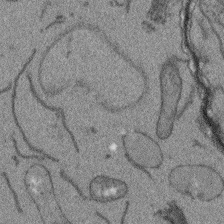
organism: Arabidopsis thaliana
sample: Root tip